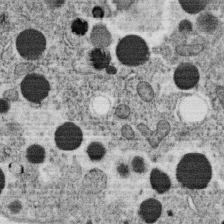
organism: C. elegans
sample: C. elegans oocyte; sperm cells